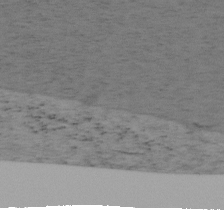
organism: Mouse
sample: OT-I killer T cells with ID8 ovarian cancer cells